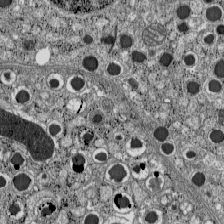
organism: C57BL Mouse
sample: Pancreatic islet